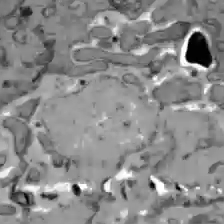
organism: C57BL Mouse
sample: Liver